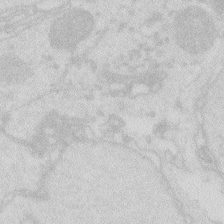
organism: Zebrafish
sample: Macrophage